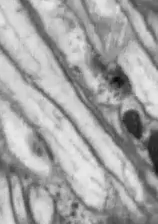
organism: Drosophila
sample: Optic lobe